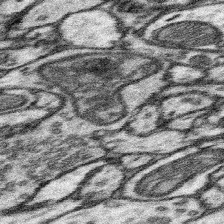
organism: Mouse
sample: Somatosensory cortex neuropil